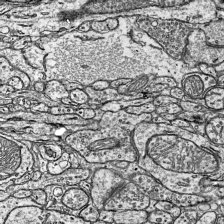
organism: Mouse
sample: Visual Cortex